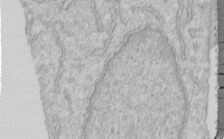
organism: Human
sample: Centriole in RPE cells